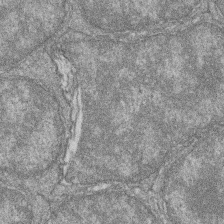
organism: Zebrafish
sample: Cilia; retinal pigment epithelium